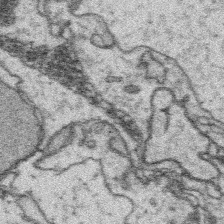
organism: Platynereis dumerilii